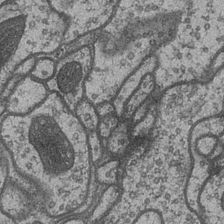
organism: Drosophila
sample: Optic medulla